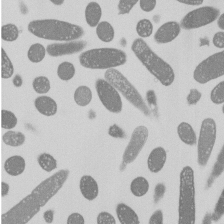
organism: E. coli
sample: Bacterial nucleoid